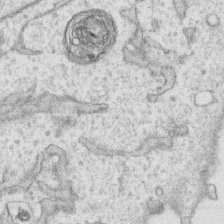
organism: Human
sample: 1205lu cells